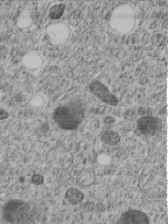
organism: C. elegans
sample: C. elegans embryo early stage